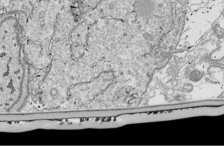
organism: Drosophila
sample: Cell division; meiosis; drosophila spermatocytes